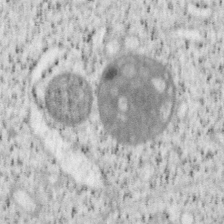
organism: Mouse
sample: OT-I killer T cells with ID8 ovarian cancer cells